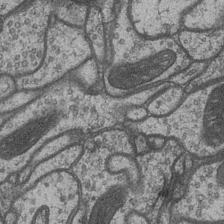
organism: Drosophila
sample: Optic medulla